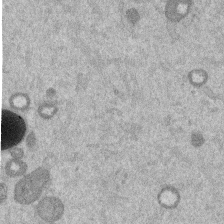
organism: Mouse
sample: Dividing mouse embryo 1 cell stage